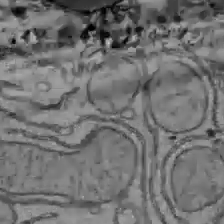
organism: C57BL Mouse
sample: Liver